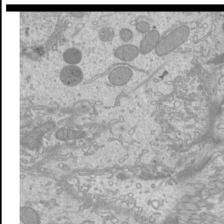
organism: Mouse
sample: Cilia; mouse epididymis